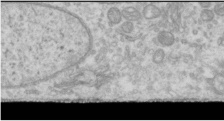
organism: Human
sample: Cilia; basal body in RPE cells